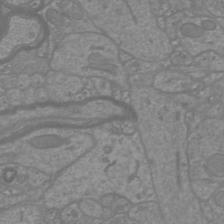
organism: Mouse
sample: Cortical neurons